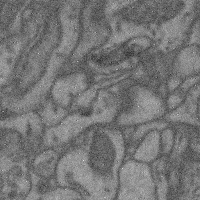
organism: Mouse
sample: Cerebral cortex